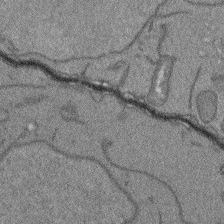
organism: Arabidopsis thaliana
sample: Root tip